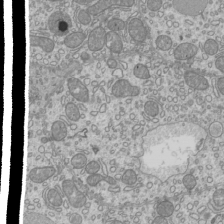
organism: Mouse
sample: Cilia; mouse epididymis